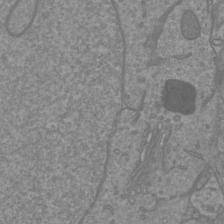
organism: Mouse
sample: Cortical neurons